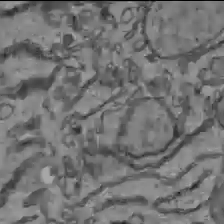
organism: C57BL Mouse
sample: Liver